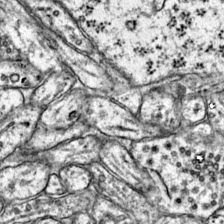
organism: Mouse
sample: Primary visual cortex